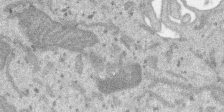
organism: Human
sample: Lung epithelial cells infected with SARS-CoV-2